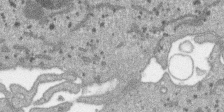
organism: Human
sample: Lung epithelial cells infected with SARS-CoV-2